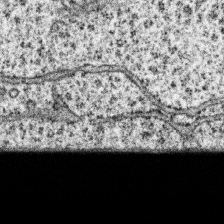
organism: Human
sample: HeLa cells